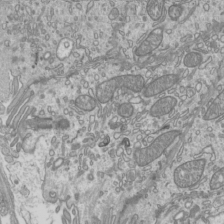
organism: Mouse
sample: Cilia; mouse epididymis